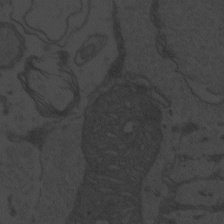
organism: Zebrafish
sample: Macrophage infected with Toxoplasma gondii